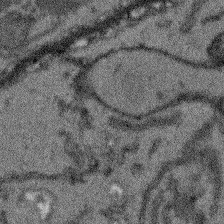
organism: Arabidopsis thaliana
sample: Root tip